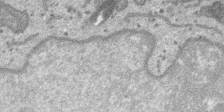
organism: Human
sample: Lung epithelial cells infected with SARS-CoV-2